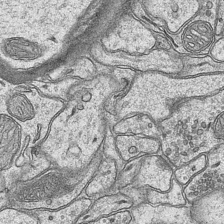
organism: Mouse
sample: CA1 Hippocampus